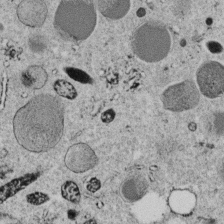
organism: C. elegans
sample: C. elegans embryo early stage